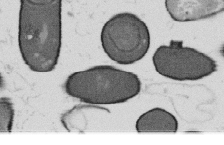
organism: B. subtilis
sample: Bacterial spore